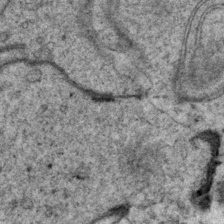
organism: P. pacificus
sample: Pharynx